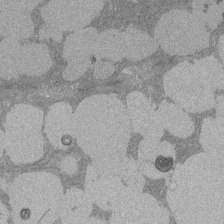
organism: Rat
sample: Salivary granule